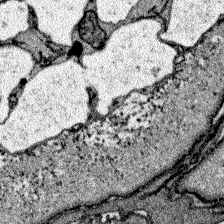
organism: Zebrafish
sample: Larval olfactory bulb